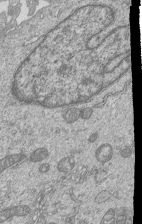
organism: Human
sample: MDA-MB-231 cells